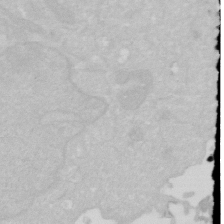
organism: Human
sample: HIV infected U937 cells